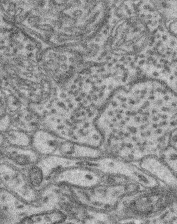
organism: Mouse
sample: Retina